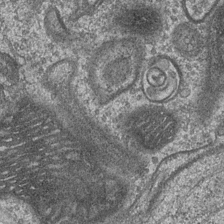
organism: Drosophila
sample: Optic medulla